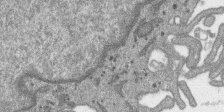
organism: Human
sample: Lung epithelial cells infected with SARS-CoV-2